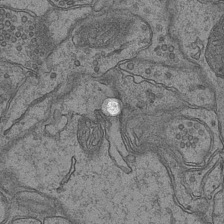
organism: Mouse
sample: CA1 Hippocampus